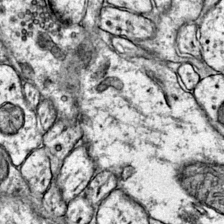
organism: Mouse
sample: Primary visual cortex